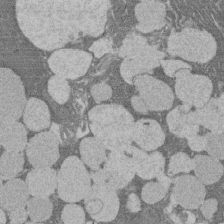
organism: Rat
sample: Salivary granule